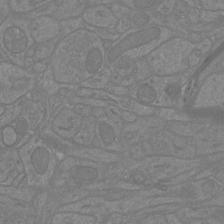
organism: Mouse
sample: Cortical neurons